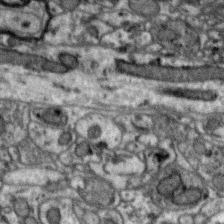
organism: Zebra finch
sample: Brain